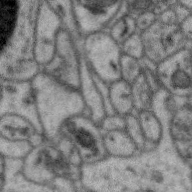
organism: Zebra finch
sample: Brain